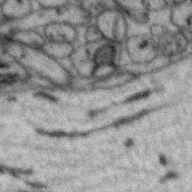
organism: Zebra finch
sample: Brain